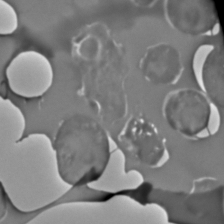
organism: C. elegans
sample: C. elegans embryo